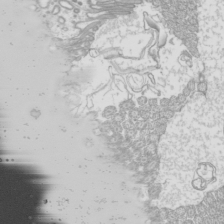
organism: Mouse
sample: Cilia; mouse epididymis